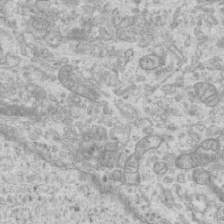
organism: Mouse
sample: Centriole in ependymal cells